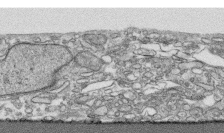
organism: Human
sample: CRL-1474